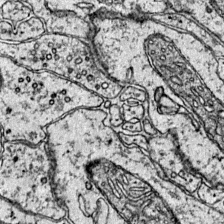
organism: Mouse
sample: Primary visual cortex